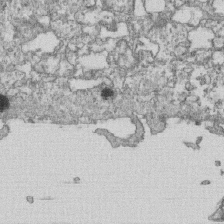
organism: Human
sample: HeLa cell HIV synapse